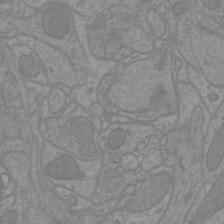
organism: Mouse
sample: Cortical neurons